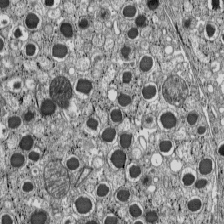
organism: C57BL Mouse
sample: Pancreatic islet